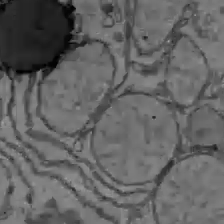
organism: C57BL Mouse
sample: Liver